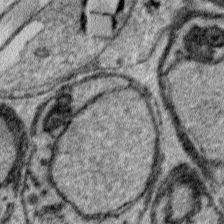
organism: Plasmodium falciparum